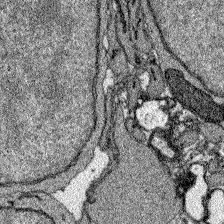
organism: Zebrafish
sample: Larval olfactory bulb